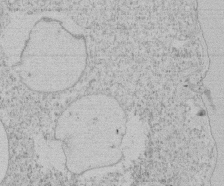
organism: Tetrahymena